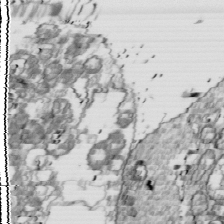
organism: Drosophila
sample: Cell division; meiosis; drosophila spermatocytes